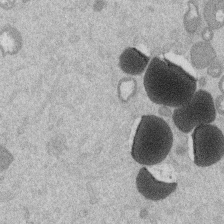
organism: Mouse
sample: Dividing mouse embryo 1 cell stage